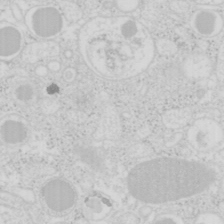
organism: Mouse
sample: Pancreas